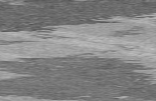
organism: C57BL Mouse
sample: Heart